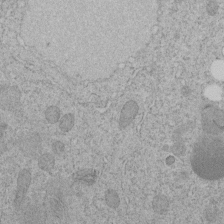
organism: C. elegans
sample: C. elegans embryo early stage